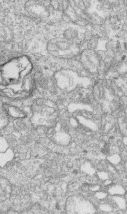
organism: Human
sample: HeLa cell HIV synapse